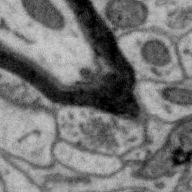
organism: Zebra finch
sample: Brain